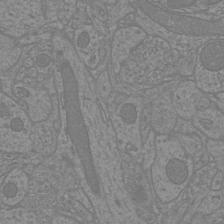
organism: Mouse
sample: Cortical neurons